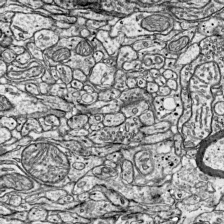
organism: Mouse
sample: Visual Cortex